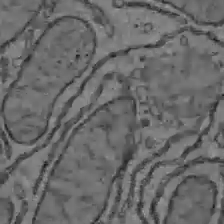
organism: C57BL Mouse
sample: Liver